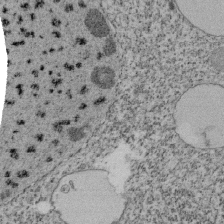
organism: Tetrahymena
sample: Cilia in tetrahymena